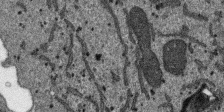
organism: Human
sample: Lung epithelial cells infected with SARS-CoV-2